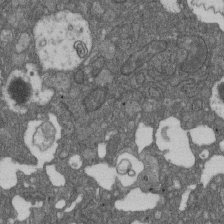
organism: Drosophila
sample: Nephrocyte